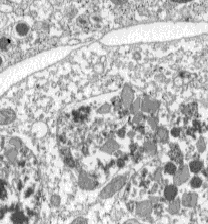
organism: C57BL Mouse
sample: Pancreatic islet